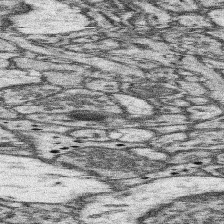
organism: Mouse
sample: Somatosensory cortex neuropil